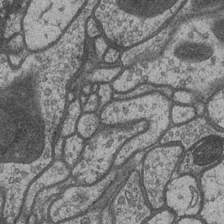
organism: Drosophila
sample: Optic medulla